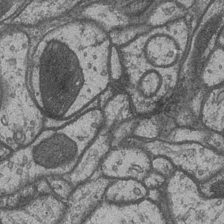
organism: Drosophila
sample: Optic medulla